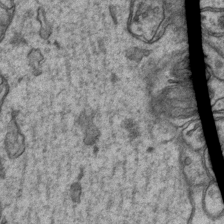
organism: Mouse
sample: CA1 Hippocampus